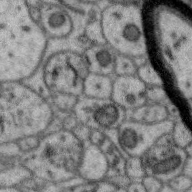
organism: Zebra finch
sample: Brain